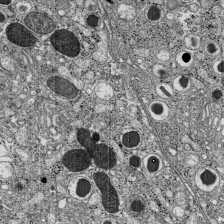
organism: C57BL Mouse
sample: Pancreatic islet